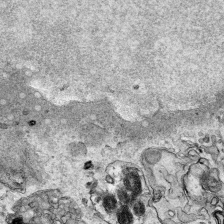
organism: Human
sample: Mitochondria in HCT116 cells